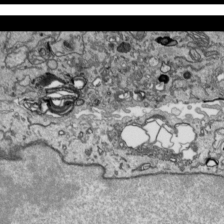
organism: Human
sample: Mitochondria in HCT116 cells